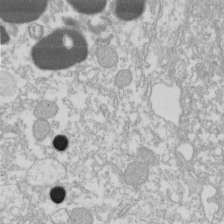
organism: Xenopus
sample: Cilia; centrioles in frog embryo cells